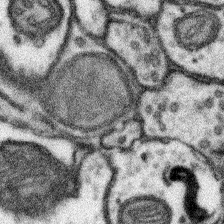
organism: Mouse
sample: Somatosensory cortex neuropil